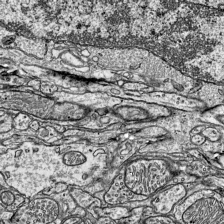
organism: Mouse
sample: Visual Cortex